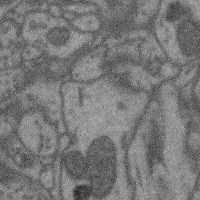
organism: Mouse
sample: Cerebral cortex